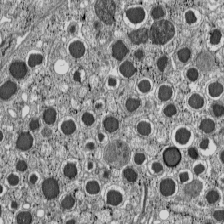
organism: C57BL Mouse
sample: Pancreatic islet